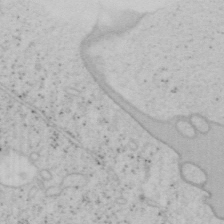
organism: Human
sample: HeLa cells